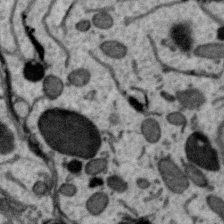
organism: Zebra finch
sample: Brain